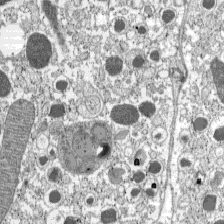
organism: C57BL Mouse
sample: Pancreatic islet